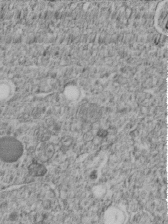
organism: C. elegans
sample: C. elegans embryo early stage